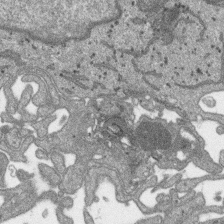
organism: Human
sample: Lung epithelial cells infected with SARS-CoV-2